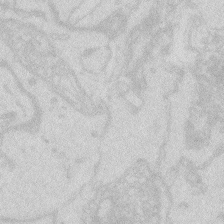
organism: Zebrafish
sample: Macrophage